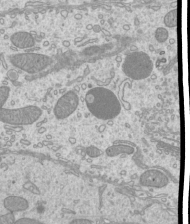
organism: Mouse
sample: Cilia; mouse epididymis